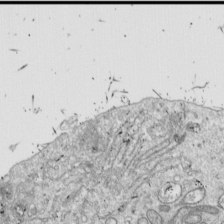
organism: Drosophila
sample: Cell division; meiosis; drosophila spermatocytes